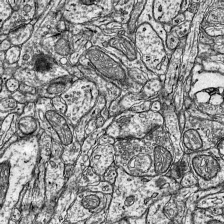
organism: Mouse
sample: Visual Cortex